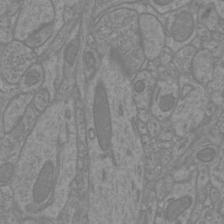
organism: Mouse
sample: Cortical neurons